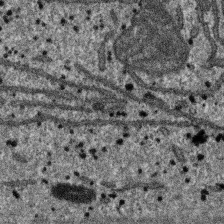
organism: Human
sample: Lung epithelial cells infected with SARS-CoV-2